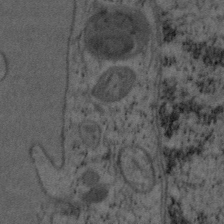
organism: Human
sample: HeLa cells